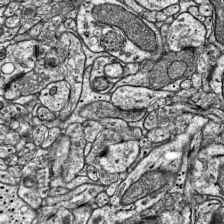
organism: Mouse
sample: Visual Cortex